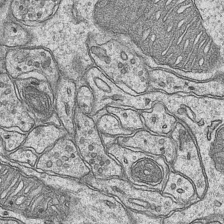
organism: Mouse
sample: CA1 Hippocampus